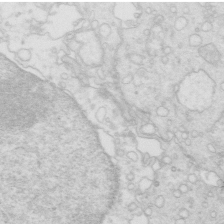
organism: Mouse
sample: Multiciliated cells